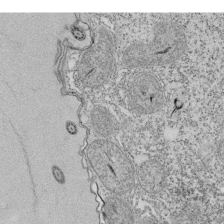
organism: Tetrahymena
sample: Cilia in tetrahymena